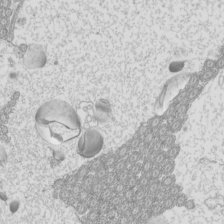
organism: Mouse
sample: Cilia; mouse epididymis